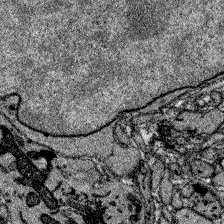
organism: Zebrafish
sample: Larval olfactory bulb